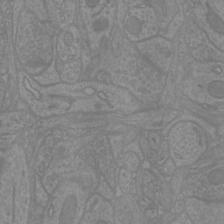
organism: Mouse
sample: Cortical neurons